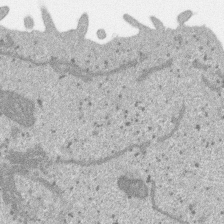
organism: Human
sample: Lung epithelial cells infected with SARS-CoV-2